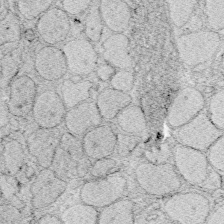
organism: Zebrafish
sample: Whole-Brain